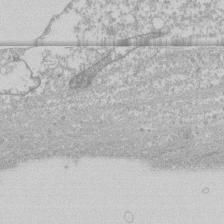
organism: Human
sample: CRL-1474